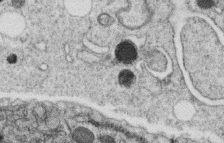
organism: C. elegans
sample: C. elegans oocyte; sperm cells